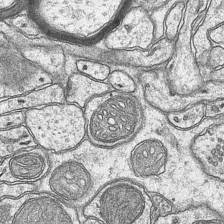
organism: Mouse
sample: CA1 Hippocampus